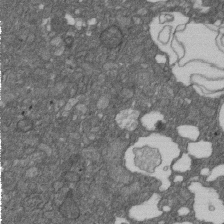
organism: Drosophila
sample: Nephrocyte